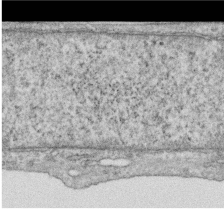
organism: Human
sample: Centriole in RPE cells